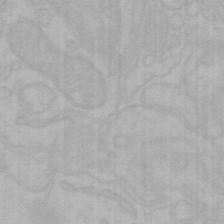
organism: Mouse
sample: Choroid plexus